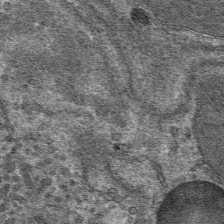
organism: Mouse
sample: Mouse hepatocytes